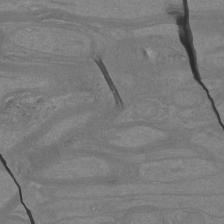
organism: Mouse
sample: Cortical neurons